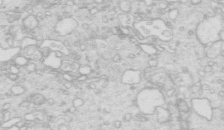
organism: Mouse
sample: Multiciliated cells